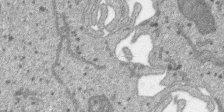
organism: Human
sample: Lung epithelial cells infected with SARS-CoV-2